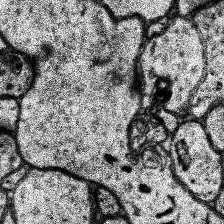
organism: Human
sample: Temporal Lobe